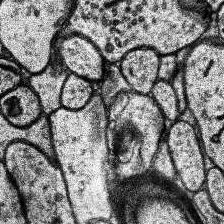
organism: Human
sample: Temporal Lobe